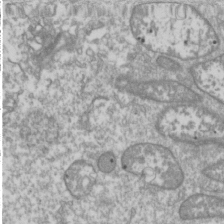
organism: Drosophila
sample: Cell division; meiosis; drosophila spermatocytes